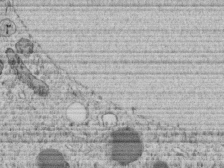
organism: C. elegans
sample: C. elegans embryo early stage